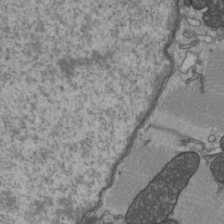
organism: C57BL Mouse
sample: Heart